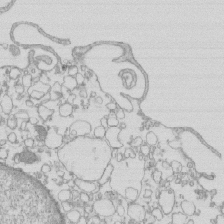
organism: Mouse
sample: Macrophages